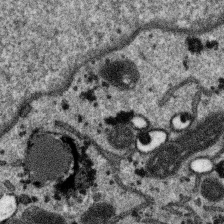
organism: Human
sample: Lung epithelial cells infected with SARS-CoV-2